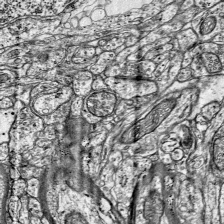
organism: Mouse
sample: Visual Cortex